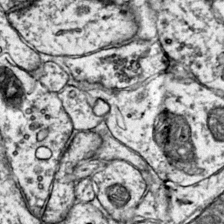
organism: Mouse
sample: Primary visual cortex